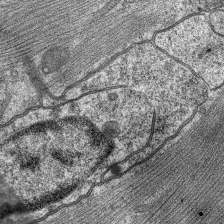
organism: C. elegans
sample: Pharynx